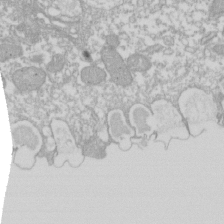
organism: Xenopus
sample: Cilia; centrioles in frog embryo cells